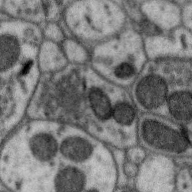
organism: Zebra finch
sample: Brain